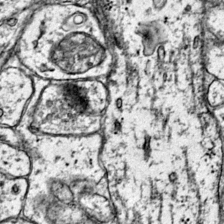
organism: Mouse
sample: Primary visual cortex